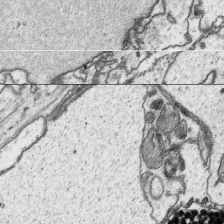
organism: Platynereis dumerilii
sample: Parapodia